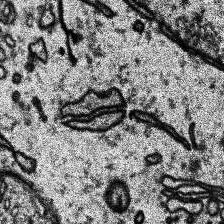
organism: Human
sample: Temporal Lobe